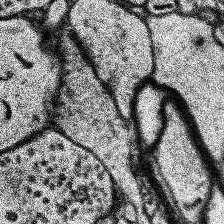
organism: Human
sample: Temporal Lobe